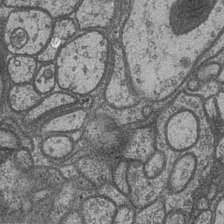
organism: Drosophila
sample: Optic medulla